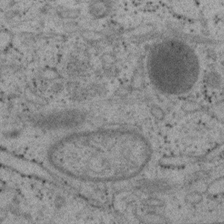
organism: Human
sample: HeLa cells